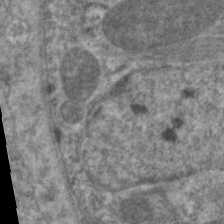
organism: C. elegans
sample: Pharynx